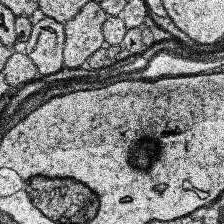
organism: Human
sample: Temporal Lobe